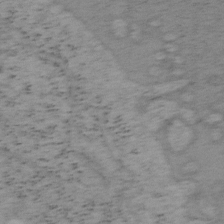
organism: Mouse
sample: OT-I killer T cells with ID8 ovarian cancer cells